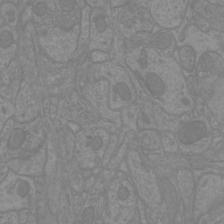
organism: Mouse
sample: Cortical neurons